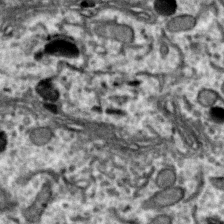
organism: Zebra finch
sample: Brain